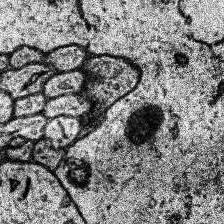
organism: Human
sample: Temporal Lobe